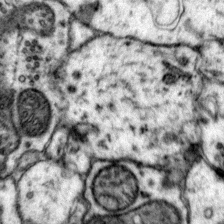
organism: Mouse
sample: Primary visual cortex